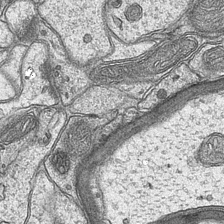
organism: Mouse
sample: CA1 Hippocampus